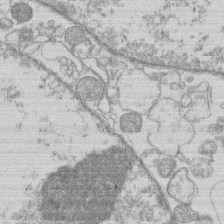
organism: Human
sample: Macrophage cells